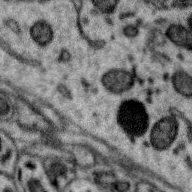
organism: Zebra finch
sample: Brain